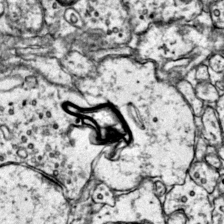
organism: Mouse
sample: Primary visual cortex